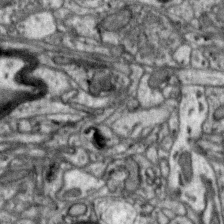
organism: Zebra finch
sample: Brain